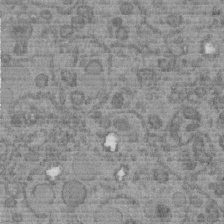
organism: C. elegans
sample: C. elegans embryo early stage